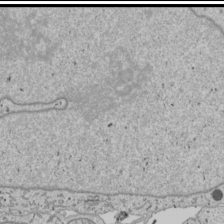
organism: Human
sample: Mitochondria in U2OS cells